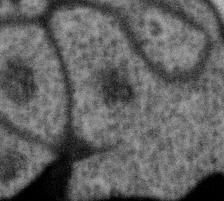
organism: Gemmata obscuriglobus